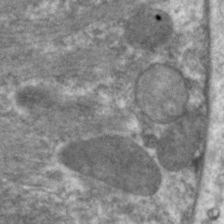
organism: C. elegans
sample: Pharynx